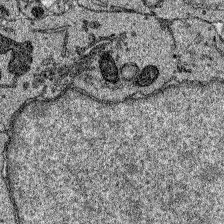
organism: Zebrafish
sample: Larval olfactory bulb